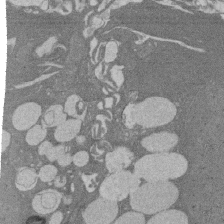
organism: Rat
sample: Salivary granule